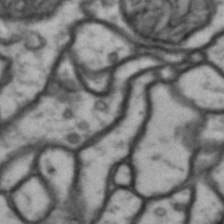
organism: Drosophila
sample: Brain